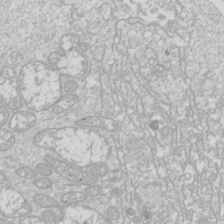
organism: Drosophila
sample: Cell division; meiosis; drosophila spermatocytes